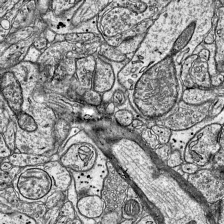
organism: Mouse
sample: Visual Cortex